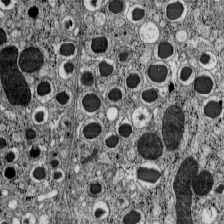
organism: C57BL Mouse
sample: Pancreatic islet